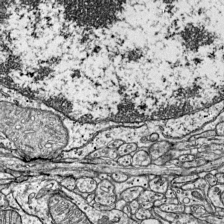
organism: Mouse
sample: Visual Cortex